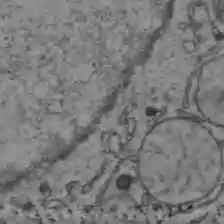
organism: C57BL Mouse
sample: Liver